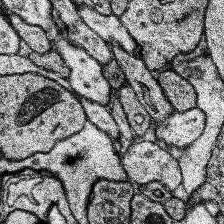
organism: Human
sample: Temporal Lobe